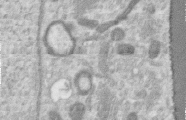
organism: Human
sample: Centriole in RPE cells